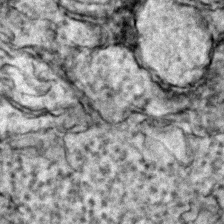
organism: Zebrafish